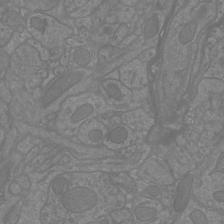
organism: Mouse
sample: Cortical neurons